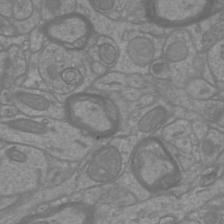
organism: Mouse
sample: Cortical neurons